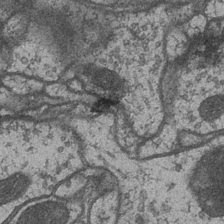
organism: Drosophila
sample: Optic medulla